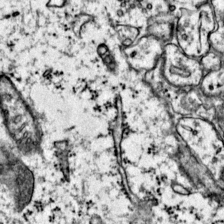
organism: Mouse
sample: Primary visual cortex